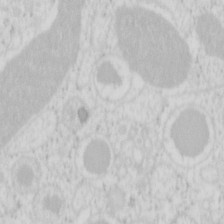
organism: Mouse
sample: Pancreas